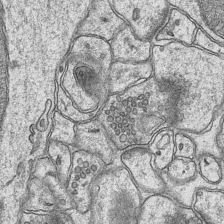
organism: Mouse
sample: CA1 Hippocampus